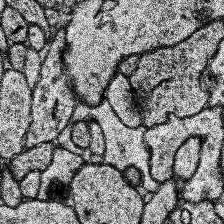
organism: Human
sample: Temporal Lobe